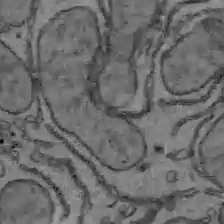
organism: C57BL Mouse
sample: Liver